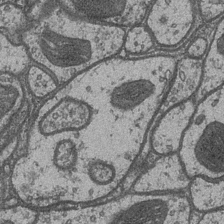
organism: Drosophila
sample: Optic medulla